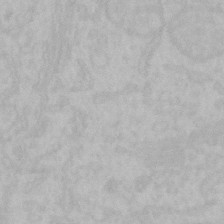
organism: Mouse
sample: Choroid plexus